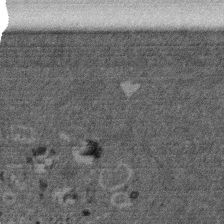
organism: Mouse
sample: Dividing mouse embryo 1 cell stage